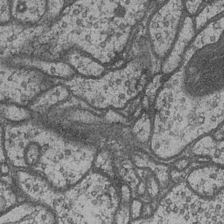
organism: Drosophila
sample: Optic medulla